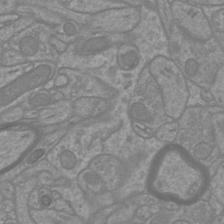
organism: Mouse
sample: Cortical neurons